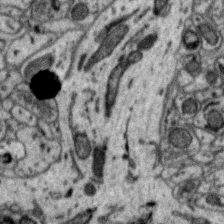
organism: Zebra finch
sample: Brain